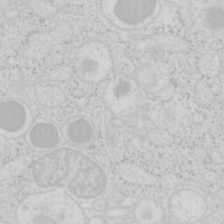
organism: Mouse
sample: Pancreas